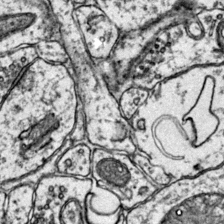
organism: Mouse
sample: Primary visual cortex